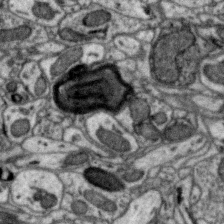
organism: Zebra finch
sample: Brain